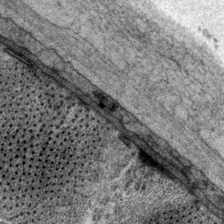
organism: P. pacificus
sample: Pharynx